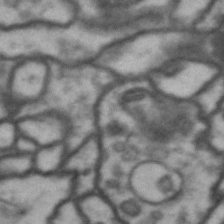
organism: Drosophila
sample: Brain